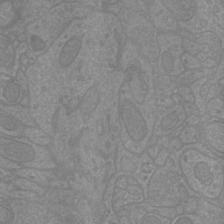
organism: Mouse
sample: Cortical neurons